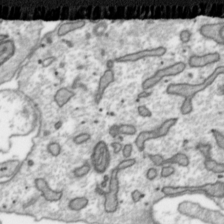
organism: Toxoplasma gondii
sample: Parasites in a vacuole inside a host cell